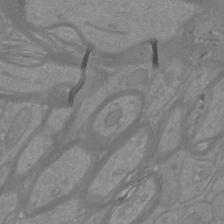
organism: Mouse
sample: Cortical neurons